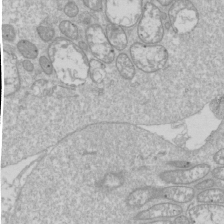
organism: Drosophila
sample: Cell division; meiosis; drosophila spermatocytes